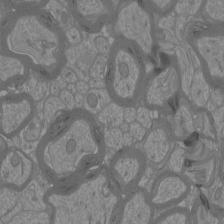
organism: Mouse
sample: Cortical neurons